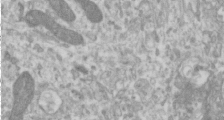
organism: Human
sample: Cilia; basal body in RPE cells